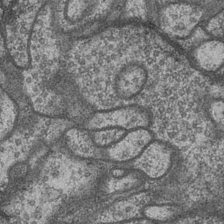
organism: Drosophila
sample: Optic medulla